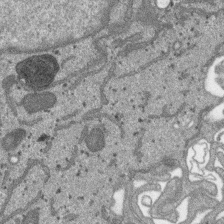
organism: Human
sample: Lung epithelial cells infected with SARS-CoV-2